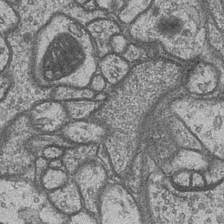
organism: Drosophila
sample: Optic medulla